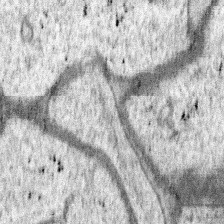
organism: Human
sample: HeLa cells